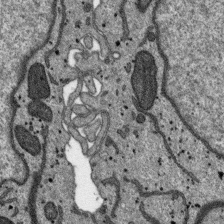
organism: Human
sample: Lung epithelial cells, uninfected (mock) control